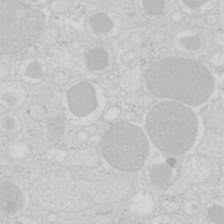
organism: Mouse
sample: Pancreas